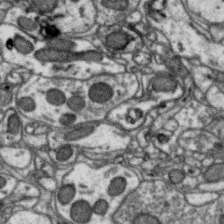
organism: Zebra finch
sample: Brain